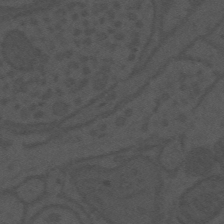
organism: Mouse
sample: Suprachiasmatic nucleus